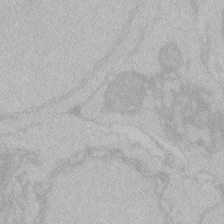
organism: Zebrafish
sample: Macrophage infected with Toxoplasma gondii